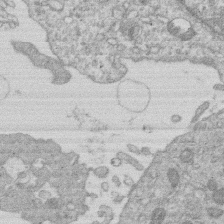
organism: Human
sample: Macrophage cells